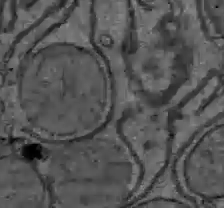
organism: C57BL Mouse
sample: Liver